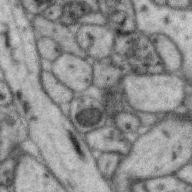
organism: Zebra finch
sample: Brain